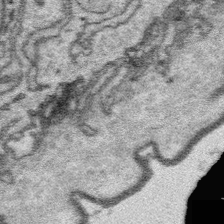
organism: Platynereis dumerilii